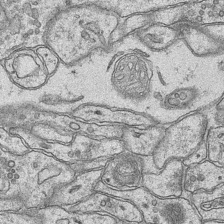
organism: Mouse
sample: CA1 Hippocampus